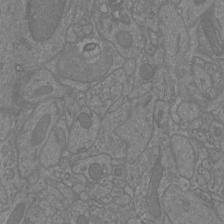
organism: Mouse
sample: Cortical neurons